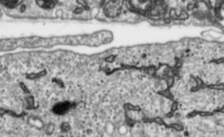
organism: Toxoplasma gondii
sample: Parasites in a vacuole inside a host cell